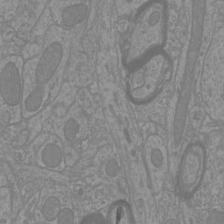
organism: Mouse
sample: Cortical neurons